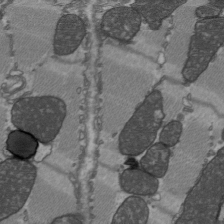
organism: C57BL Mouse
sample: Heart